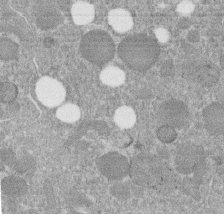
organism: C. elegans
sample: C. elegans embryo early stage